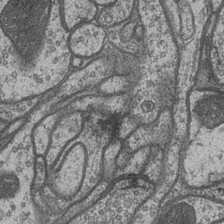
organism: Drosophila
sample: Optic medulla